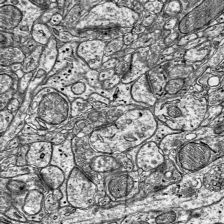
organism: Mouse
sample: Visual Cortex